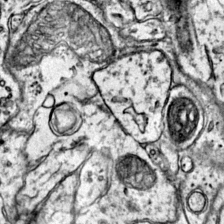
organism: Mouse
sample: Primary visual cortex